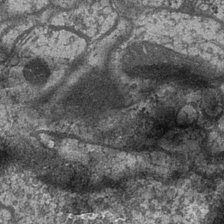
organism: Drosophila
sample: Optic medulla